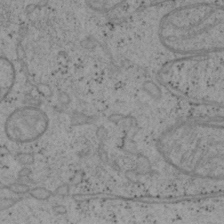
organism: Human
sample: HeLa cells